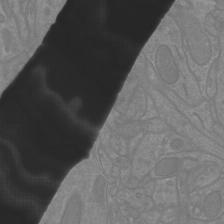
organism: Mouse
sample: Cortical neurons